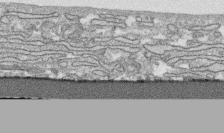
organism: Human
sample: CRL-1474